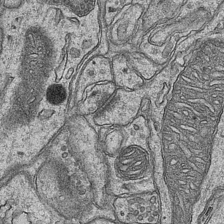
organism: Mouse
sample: CA1 Hippocampus